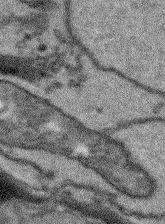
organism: Arabidopsis thaliana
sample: Root tip